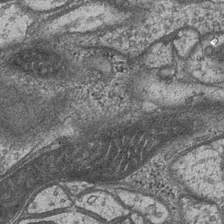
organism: Drosophila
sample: Optic medulla